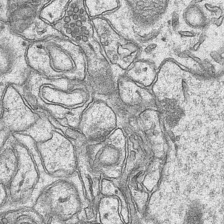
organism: Mouse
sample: CA1 Hippocampus